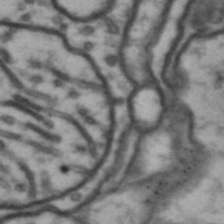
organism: Drosophila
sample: Brain